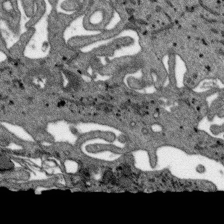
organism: Human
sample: Lung epithelial cells, uninfected (mock) control